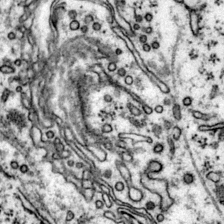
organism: Mouse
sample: Primary visual cortex